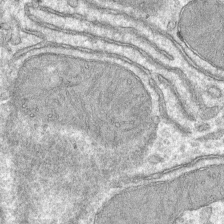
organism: Mouse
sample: Mouse hepatocytes